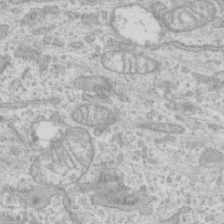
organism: Human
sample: CRL-1474